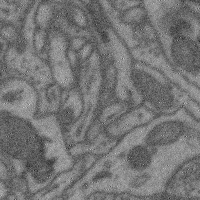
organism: Mouse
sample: Cerebral cortex